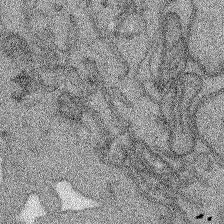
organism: Human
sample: HeLa cells